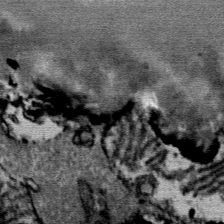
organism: Mouse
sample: Mouse Salivary gland